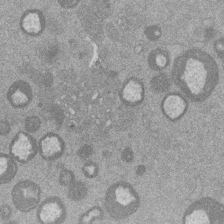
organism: Mouse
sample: Dividing mouse embryo 1 cell stage